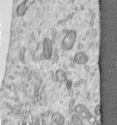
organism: Human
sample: Centriole in RPE cells